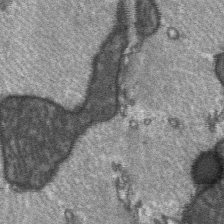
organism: C57BL Mouse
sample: Soleus